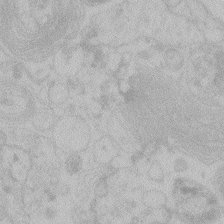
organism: Zebrafish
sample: Macrophage infected with Toxoplasma gondii